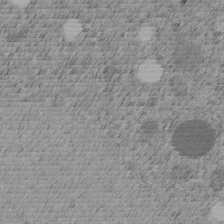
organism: C. elegans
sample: C. elegans embryo early stage